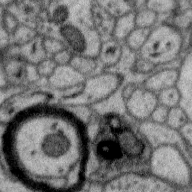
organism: Zebra finch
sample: Brain